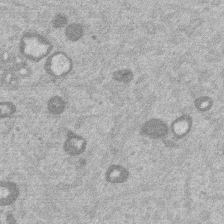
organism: Mouse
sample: Dividing mouse embryo 1 cell stage